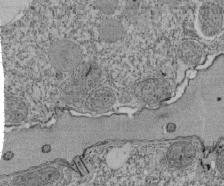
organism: Tetrahymena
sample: Cilia in tetrahymena